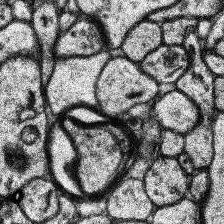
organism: Human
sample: Temporal Lobe